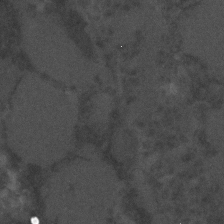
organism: C. elegans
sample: C. elegans embryo